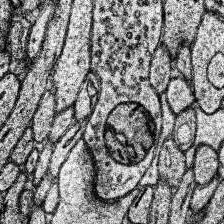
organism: Human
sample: Temporal Lobe